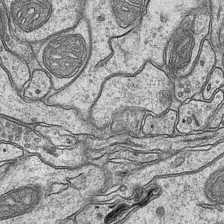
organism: Mouse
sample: CA1 Hippocampus